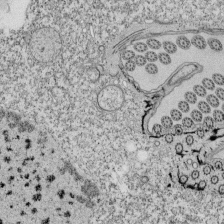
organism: Tetrahymena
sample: Cilia in tetrahymena